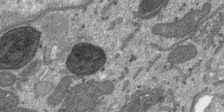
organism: Human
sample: Lung epithelial cells infected with SARS-CoV-2